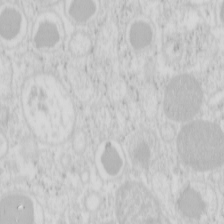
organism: Mouse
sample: Pancreas